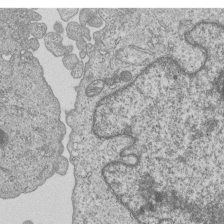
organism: Human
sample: MDA-MB-231 cells